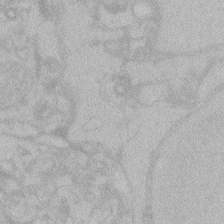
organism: Zebrafish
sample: Macrophage infected with Toxoplasma gondii